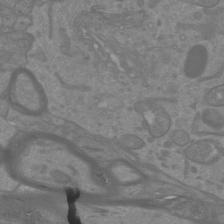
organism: Mouse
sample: Cortical neurons